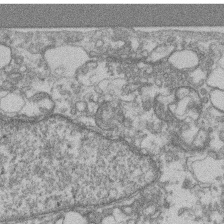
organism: Mouse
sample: T cell stromal cell synapse